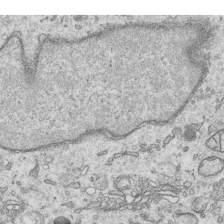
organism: Human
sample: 1205lu cells